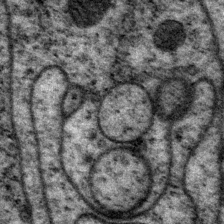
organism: P. pacificus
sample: Pharynx